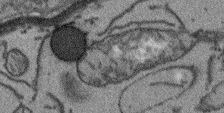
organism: Arabidopsis thaliana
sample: Root tip